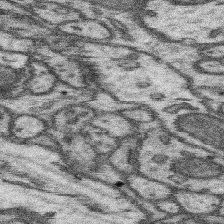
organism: Mouse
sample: Somatosensory cortex neuropil